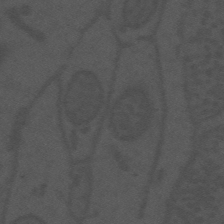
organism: Mouse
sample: Suprachiasmatic nucleus